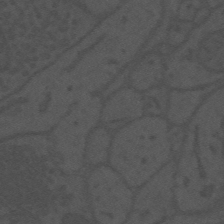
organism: Mouse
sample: Suprachiasmatic nucleus